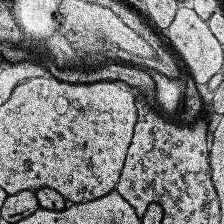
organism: Human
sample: Temporal Lobe